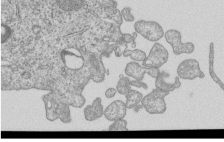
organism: Human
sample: MDA-MB-231 cells